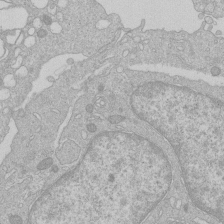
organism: Human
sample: Macrophage cells